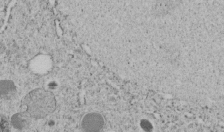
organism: C. elegans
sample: C. elegans embryo early stage